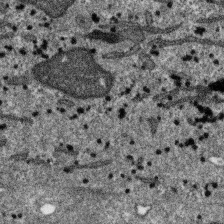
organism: Human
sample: Lung epithelial cells infected with SARS-CoV-2